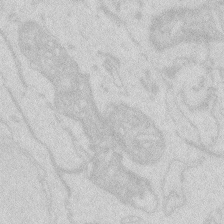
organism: Zebrafish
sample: Macrophage